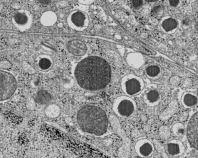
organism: C57BL Mouse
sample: Pancreatic islet